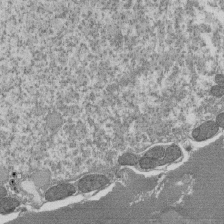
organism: Tetrahymena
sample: Cilia in tetrahymena